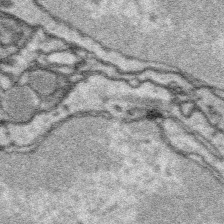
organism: Platynereis dumerilii